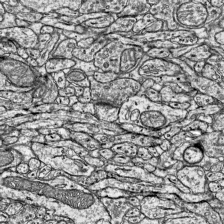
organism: Mouse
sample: Visual Cortex